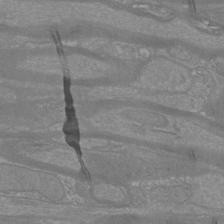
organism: Mouse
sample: Cortical neurons